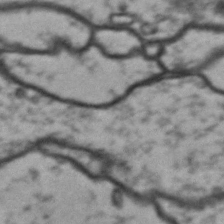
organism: Drosophila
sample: Brain